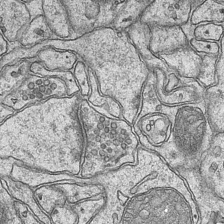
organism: Mouse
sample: CA1 Hippocampus